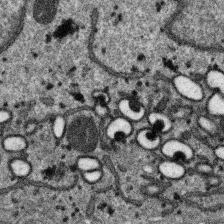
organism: Human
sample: Lung epithelial cells infected with SARS-CoV-2